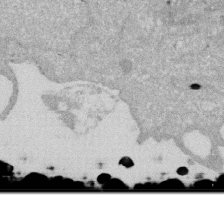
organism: Human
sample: HIV infected U937 cells